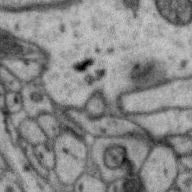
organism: Zebra finch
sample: Brain